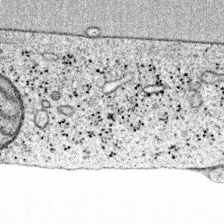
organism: Human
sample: HeLa cells